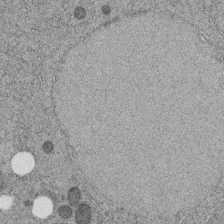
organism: C. elegans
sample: C. elegans embryo early stage